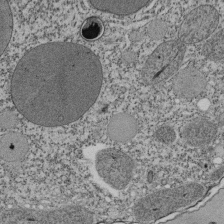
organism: Tetrahymena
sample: Cilia in tetrahymena